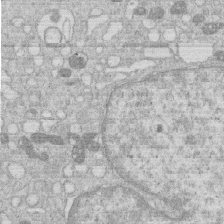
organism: Human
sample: Macrophage cells